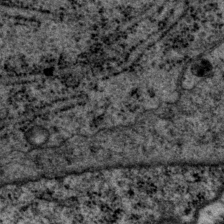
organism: P. pacificus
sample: Pharynx